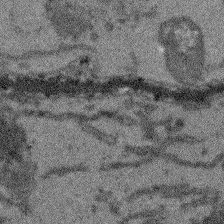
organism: Arabidopsis thaliana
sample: Root tip